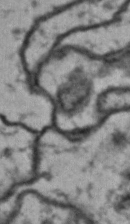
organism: Drosophila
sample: Brain